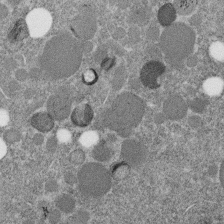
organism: C. elegans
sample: C. elegans embryo early stage